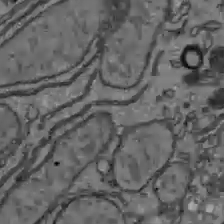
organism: C57BL Mouse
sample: Liver